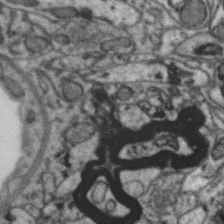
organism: Zebra finch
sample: Brain